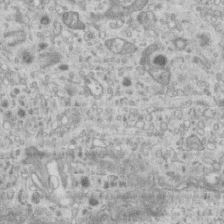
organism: Mouse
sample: Centriole in ependymal cells